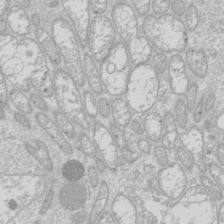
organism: Drosophila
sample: Cell division; meiosis; drosophila spermatocytes